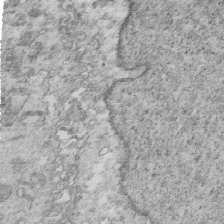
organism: Mouse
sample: Multiciliated cells